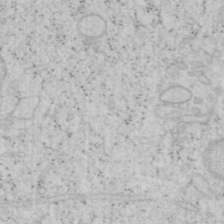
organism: Human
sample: HeLa cells